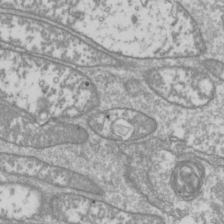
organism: Drosophila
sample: Cell division; meiosis; drosophila spermatocytes